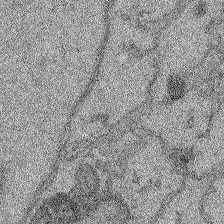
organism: Human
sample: HeLa cells